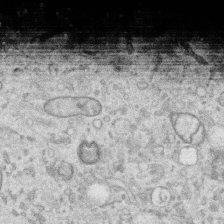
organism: Human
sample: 1205lu cells